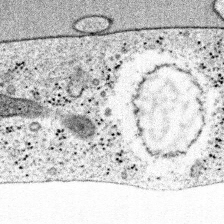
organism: Human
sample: HeLa cells